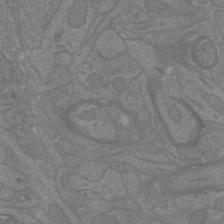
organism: Mouse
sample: Cortical neurons